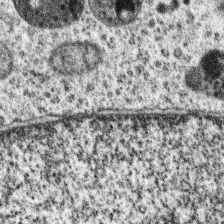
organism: Human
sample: HeLa cells